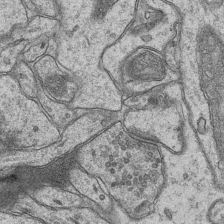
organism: Mouse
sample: CA1 Hippocampus